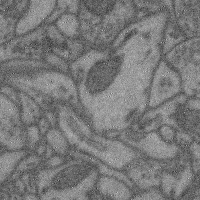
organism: Mouse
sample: Cerebral cortex